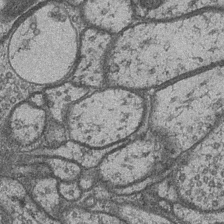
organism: Drosophila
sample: Optic medulla